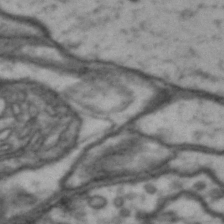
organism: Drosophila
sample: Brain